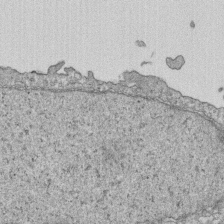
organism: Human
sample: HeLa cell HIV synapse